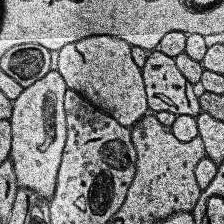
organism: Human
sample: Temporal Lobe